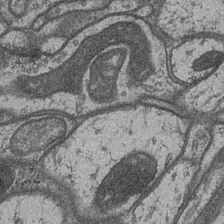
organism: Drosophila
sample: Optic medulla